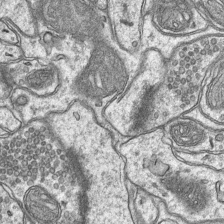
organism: Mouse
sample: CA1 Hippocampus